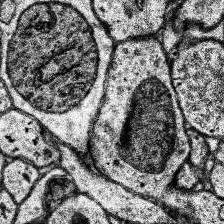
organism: Human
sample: Temporal Lobe